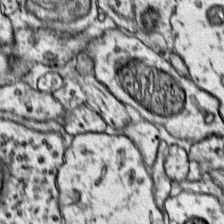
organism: Mouse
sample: Primary visual cortex